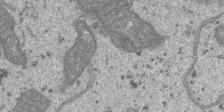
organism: Human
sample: Lung epithelial cells infected with SARS-CoV-2